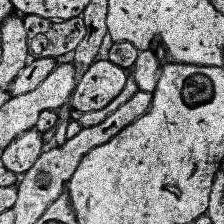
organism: Human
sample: Temporal Lobe